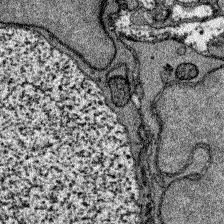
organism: Zebrafish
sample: Larval olfactory bulb